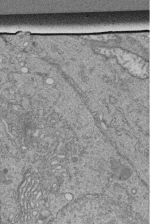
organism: Human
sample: Retinal organoid Rod and Cone cells